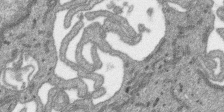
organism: Human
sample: Lung epithelial cells infected with SARS-CoV-2